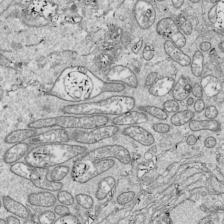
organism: Drosophila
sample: Cell division; meiosis; drosophila spermatocytes